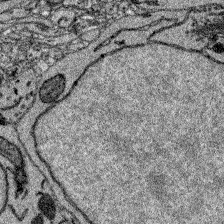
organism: Zebrafish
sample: Larval olfactory bulb